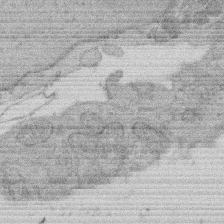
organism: Rat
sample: Salivary granule